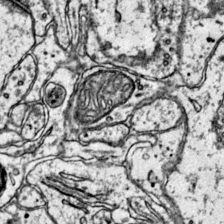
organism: Mouse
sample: Primary visual cortex